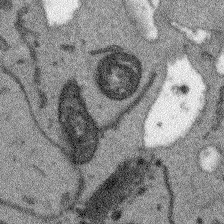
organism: Arabidopsis thaliana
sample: Root tip